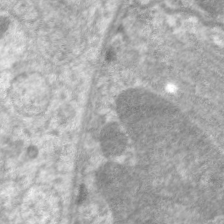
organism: C. elegans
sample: Pharynx